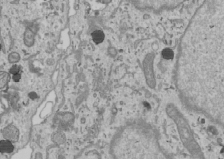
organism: Human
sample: Mitochondria in U2OS cells